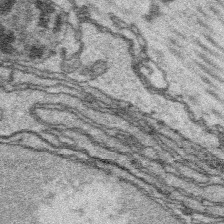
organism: Platynereis dumerilii